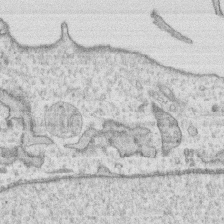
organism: Human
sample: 1205lu cells